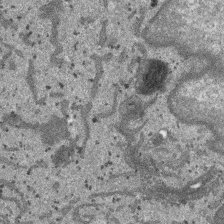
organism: Human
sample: Lung epithelial cells infected with SARS-CoV-2